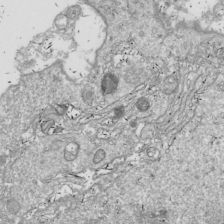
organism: Drosophila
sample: Cell division; meiosis; drosophila spermatocytes